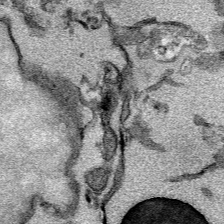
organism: Mouse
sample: Cancer cell death in ED-1 cells